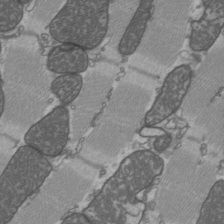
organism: C57BL Mouse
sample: Heart